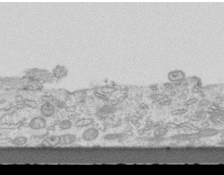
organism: Mouse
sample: Centriole in ependymal cells